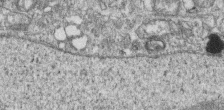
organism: Human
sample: HeLa cell HIV synapse